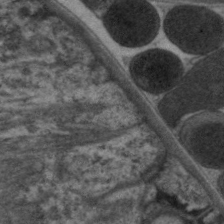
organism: C. elegans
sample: Pharynx